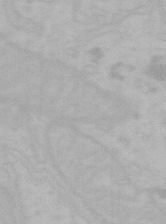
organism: Mouse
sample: Choroid plexus